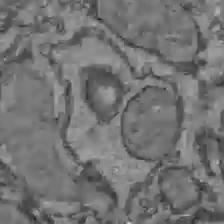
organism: C57BL Mouse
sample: Liver